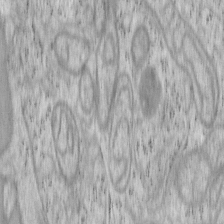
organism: Human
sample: HeLa cells